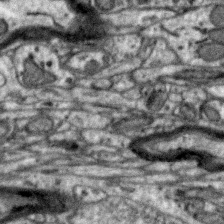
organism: Zebra finch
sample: Brain